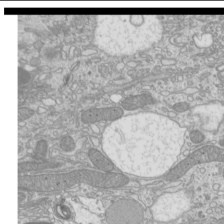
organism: Mouse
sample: Cilia; mouse epididymis